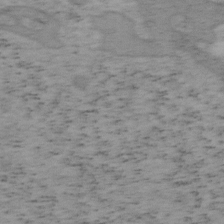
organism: Mouse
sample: OT-I killer T cells with ID8 ovarian cancer cells